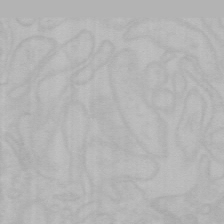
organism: Mouse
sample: Choroid plexus